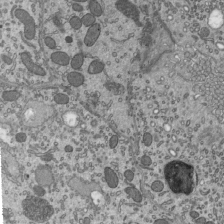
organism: Mouse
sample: Mouse epididymis efferent ductule cilia